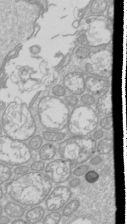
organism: Drosophila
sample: Cell division; meiosis; drosophila spermatocytes